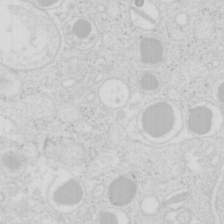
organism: Mouse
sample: Pancreas